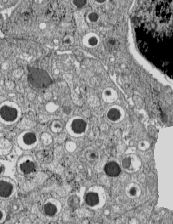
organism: C57BL Mouse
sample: Pancreatic islet